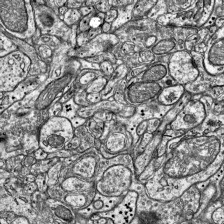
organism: Mouse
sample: Visual Cortex